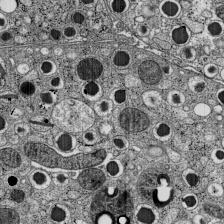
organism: C57BL Mouse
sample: Pancreatic islet